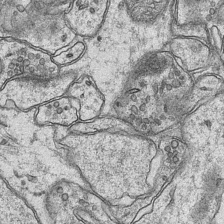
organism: Mouse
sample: CA1 Hippocampus